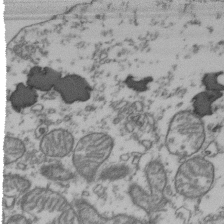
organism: Human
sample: Activated Jurkat CD4+ T cells